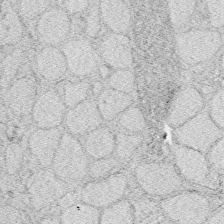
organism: Zebrafish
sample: Whole-Brain